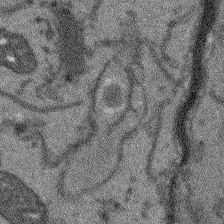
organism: Arabidopsis thaliana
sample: Root tip